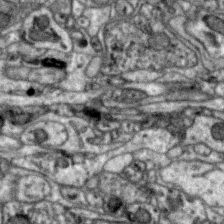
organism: Zebra finch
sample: Brain